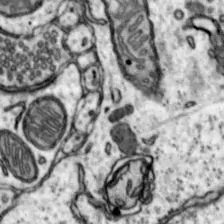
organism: Mouse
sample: Nucleus accumbens